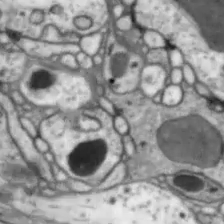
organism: Drosophila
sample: Optic lobe